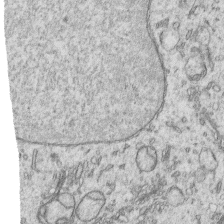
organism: Human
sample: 1205lu cells